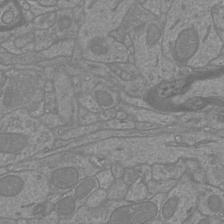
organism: Mouse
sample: Cortical neurons